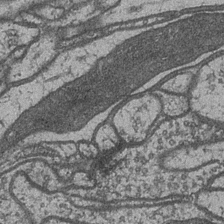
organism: Drosophila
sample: Optic medulla